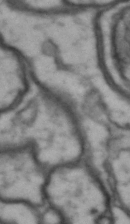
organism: Drosophila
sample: Brain